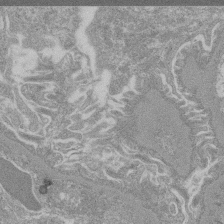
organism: Mouse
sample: Glomerulus